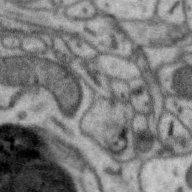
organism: Zebra finch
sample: Brain